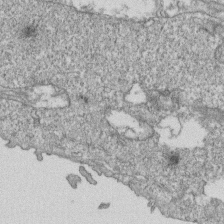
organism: Human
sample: HeLa cell HIV synapse